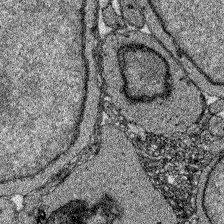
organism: Zebrafish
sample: Larval olfactory bulb